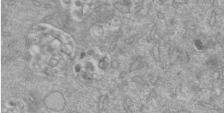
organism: Mouse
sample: ED-1 cell nuclei; centrioles